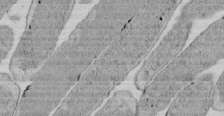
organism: E. coli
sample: Bacterial nucleoid